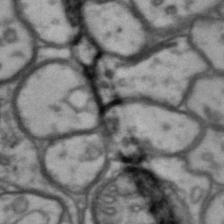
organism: Drosophila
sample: Brain